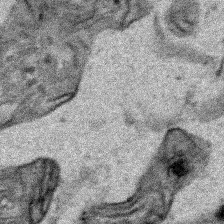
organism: Human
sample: Mitochondria in HCT116 cells